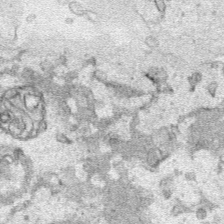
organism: Human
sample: Mitochondria in HCT116 cells